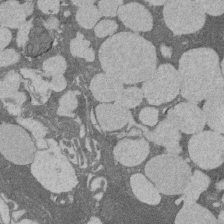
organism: Rat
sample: Salivary granule